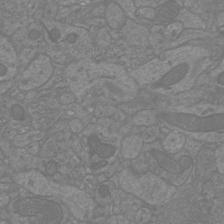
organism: Mouse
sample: Cortical neurons